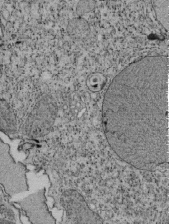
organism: Tetrahymena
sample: Cilia in tetrahymena